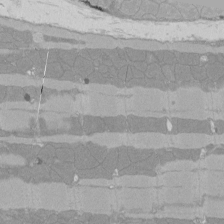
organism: Rat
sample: Left ventricle